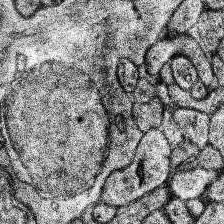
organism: Human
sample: Temporal Lobe